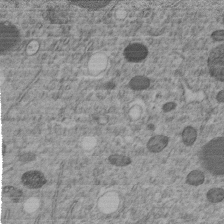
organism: C. elegans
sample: C. elegans embryo early stage